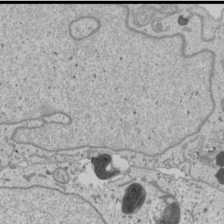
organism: Human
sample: Mitochondria in U2OS cells